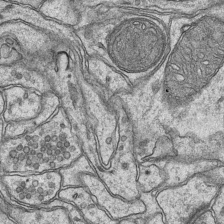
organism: Mouse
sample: CA1 Hippocampus